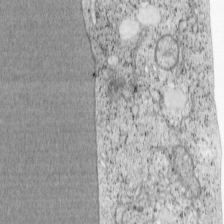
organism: African green monkey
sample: COS-7 cells